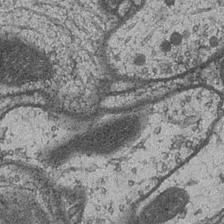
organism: Drosophila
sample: Optic medulla